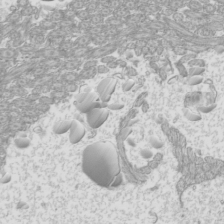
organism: Mouse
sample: Cilia; mouse epididymis